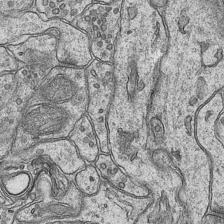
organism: Mouse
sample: CA1 Hippocampus